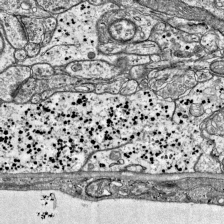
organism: Mouse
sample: Visual Cortex